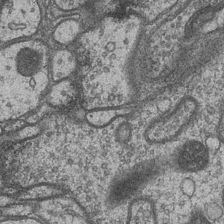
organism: Drosophila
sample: Optic medulla